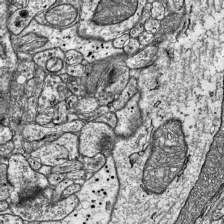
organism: Mouse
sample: Visual Cortex